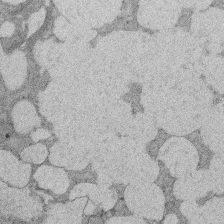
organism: Rat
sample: Salivary granule